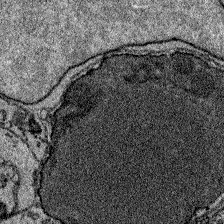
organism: Zebrafish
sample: Larval olfactory bulb